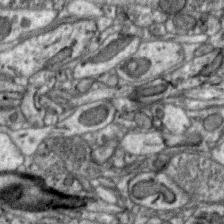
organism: Zebra finch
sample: Brain